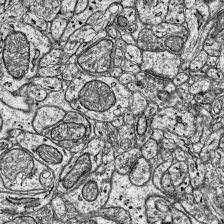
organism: Mouse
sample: Visual Cortex